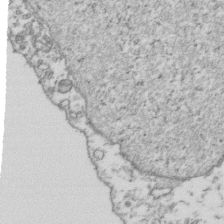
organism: Human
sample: Activated Jurkat CD4+ T cells